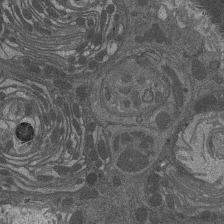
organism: Drosophila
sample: Antenna